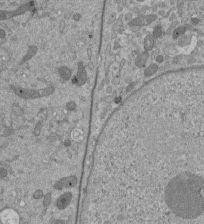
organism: Mouse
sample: ED-1 cell nuclei; centrioles